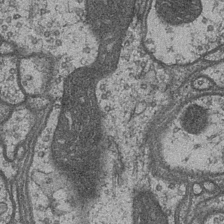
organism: Drosophila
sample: Optic medulla